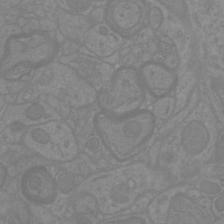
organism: Mouse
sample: Cortical neurons